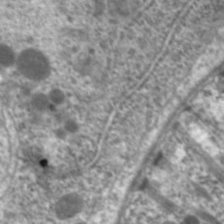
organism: C. elegans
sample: Pharynx